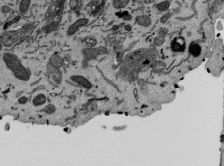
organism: Mouse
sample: ED-1 cell nuclei; centrioles